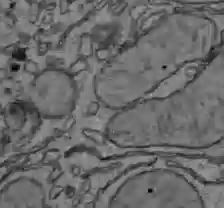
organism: C57BL Mouse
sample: Liver